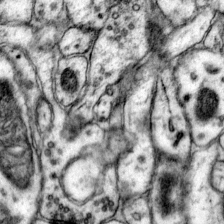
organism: Mouse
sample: Primary visual cortex